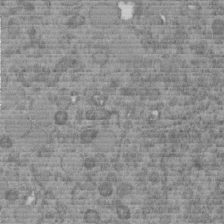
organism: C. elegans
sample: C. elegans embryo early stage